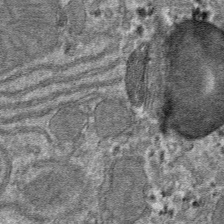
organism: Mouse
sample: Mouse hepatocytes